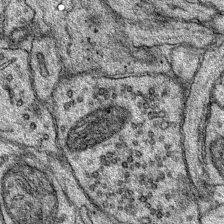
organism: Mouse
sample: Primary visual cortex